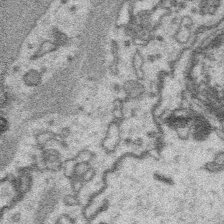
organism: Platynereis dumerilii